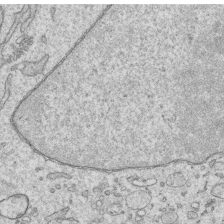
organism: Human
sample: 1205lu cells